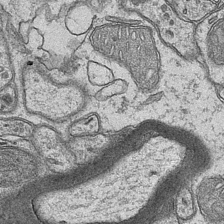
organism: Mouse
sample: CA1 Hippocampus